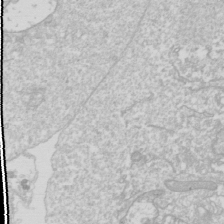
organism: Drosophila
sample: Cell division; meiosis; drosophila spermatocytes